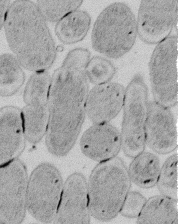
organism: E. coli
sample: Bacterial nucleoid